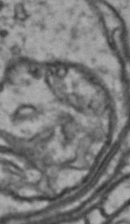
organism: Drosophila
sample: Brain